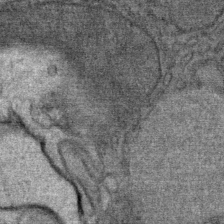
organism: Mouse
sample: Mouse Salivary gland